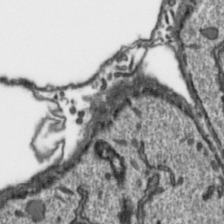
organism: Toxoplasma gondii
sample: Parasites in a vacuole inside a host cell